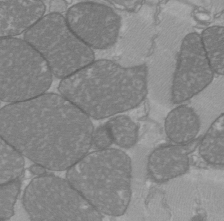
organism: C57BL Mouse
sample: Heart